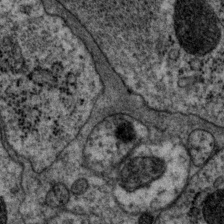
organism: P. pacificus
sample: Pharynx